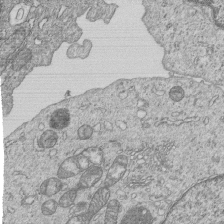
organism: Human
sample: MDA-MB-231 cells